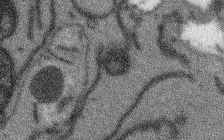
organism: Arabidopsis thaliana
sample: Root tip